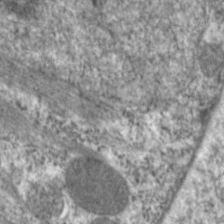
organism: C. elegans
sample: Pharynx